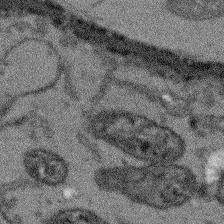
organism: Arabidopsis thaliana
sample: Root tip